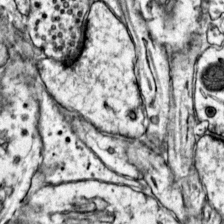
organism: Mouse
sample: Primary visual cortex